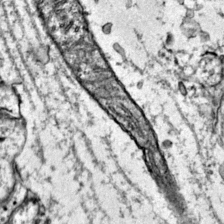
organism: Mouse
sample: Primary visual cortex